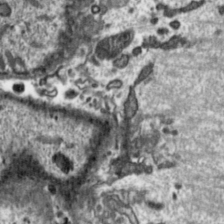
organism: Toxoplasma gondii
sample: Parasites in a vacuole inside a host cell